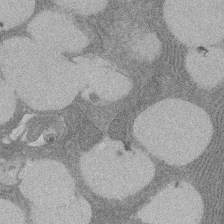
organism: Rat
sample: Salivary granule